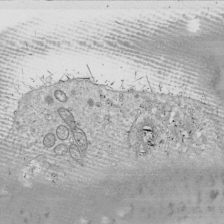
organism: Drosophila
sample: Cell division; meiosis; drosophila spermatocytes